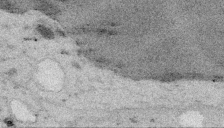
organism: Embia sp.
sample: Silk gland